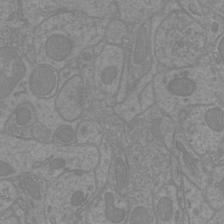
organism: Mouse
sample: Cortical neurons